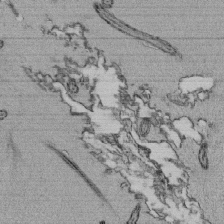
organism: Tetrahymena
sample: Cilia in tetrahymena